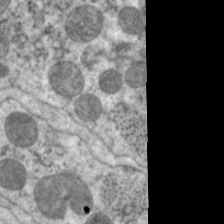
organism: C. elegans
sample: Pharynx